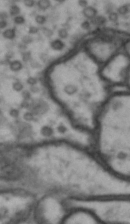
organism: Drosophila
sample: Brain